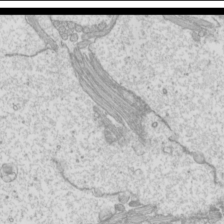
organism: Mouse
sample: Cilia; mouse epididymis